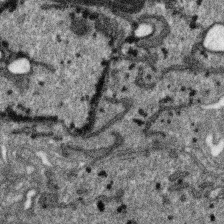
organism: Human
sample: Lung epithelial cells infected with SARS-CoV-2